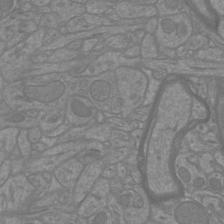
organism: Mouse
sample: Cortical neurons